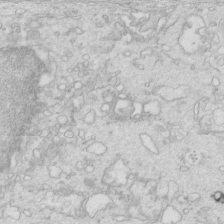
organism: Mouse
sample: Multiciliated cells